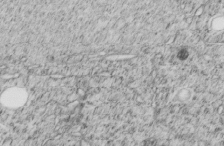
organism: C. elegans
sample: C. elegans embryo early stage